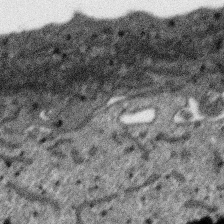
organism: Human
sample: Lung epithelial cells infected with SARS-CoV-2